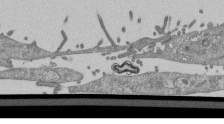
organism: Mouse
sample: ED-1 cell nuclei; centrioles